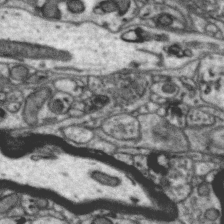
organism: Zebra finch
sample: Brain